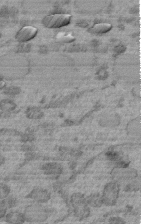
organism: C. elegans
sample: C. elegans embryo early stage